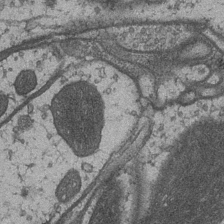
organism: Drosophila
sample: Optic medulla